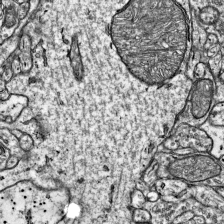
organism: Mouse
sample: Visual Cortex